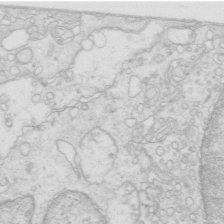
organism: Mouse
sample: Multiciliated cells